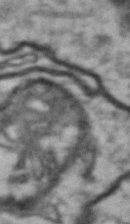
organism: Drosophila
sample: Brain